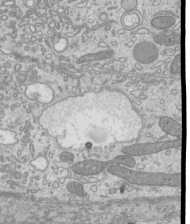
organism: Mouse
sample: Cilia; mouse epididymis